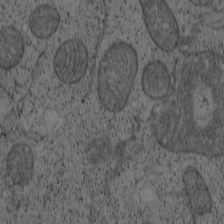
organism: African green monkey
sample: COS-7 cells